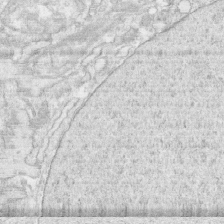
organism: Human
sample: CRL-1474